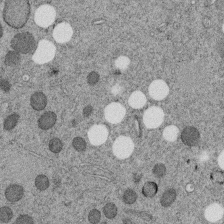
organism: C. elegans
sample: C. elegans embryo early stage